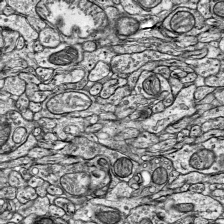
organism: Mouse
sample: Visual Cortex